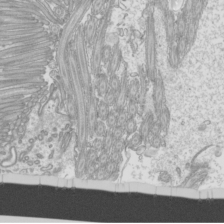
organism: Mouse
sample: Cilia; mouse epididymis